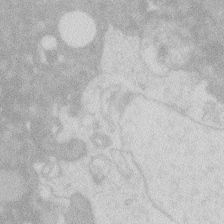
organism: Zebrafish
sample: Macrophage